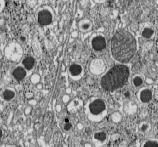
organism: C57BL Mouse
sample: Pancreatic islet